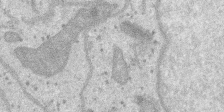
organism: Human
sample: Lung epithelial cells infected with SARS-CoV-2